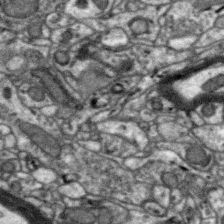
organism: Zebra finch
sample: Brain